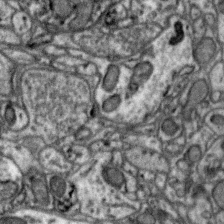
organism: Zebra finch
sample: Brain